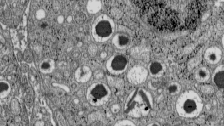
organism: C57BL Mouse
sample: Pancreatic islet